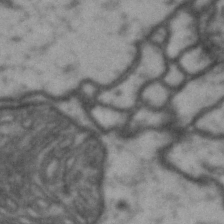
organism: Drosophila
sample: Brain